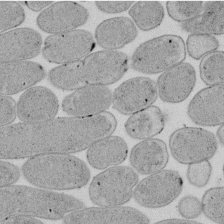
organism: E. coli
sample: Bacterial nucleoid